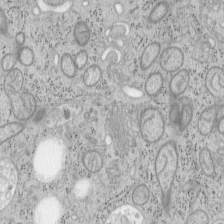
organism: Mouse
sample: OT-I killer T cells with ID8 ovarian cancer cells